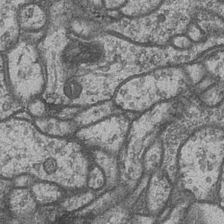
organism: Drosophila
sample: Optic medulla